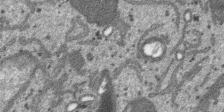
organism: Human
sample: Lung epithelial cells infected with SARS-CoV-2